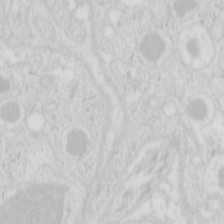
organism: Mouse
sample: Pancreas